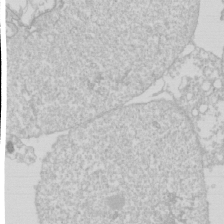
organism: Drosophila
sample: Cell division; meiosis; drosophila spermatocytes